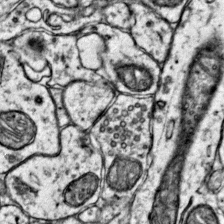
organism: Mouse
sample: Primary visual cortex